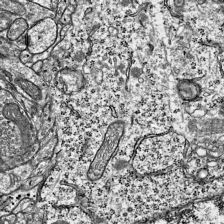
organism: Mouse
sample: Visual Cortex